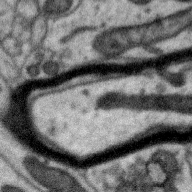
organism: Zebra finch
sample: Brain